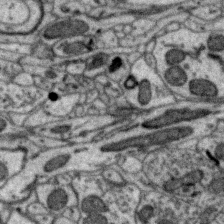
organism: Zebra finch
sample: Brain